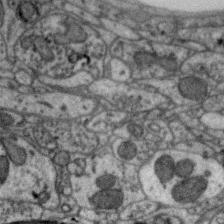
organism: Zebra finch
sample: Brain